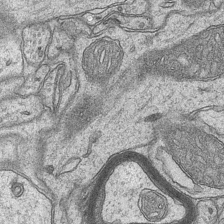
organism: Mouse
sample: CA1 Hippocampus